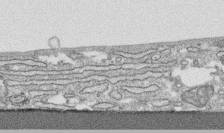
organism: Human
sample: CRL-1474